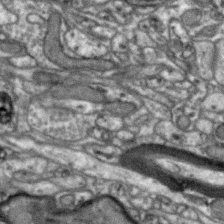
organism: Zebra finch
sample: Brain